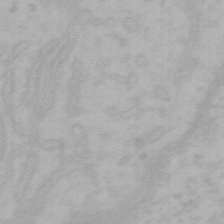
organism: Mouse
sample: Choroid plexus